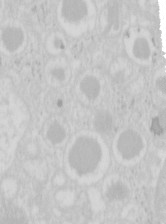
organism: Mouse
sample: Pancreas